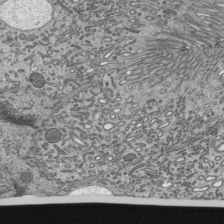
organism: Mouse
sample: Mouse epididymis efferent ductule cilia